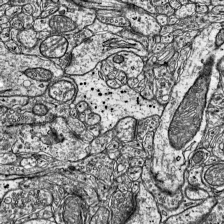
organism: Mouse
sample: Visual Cortex